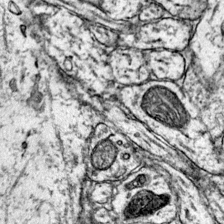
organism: Mouse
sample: Primary visual cortex